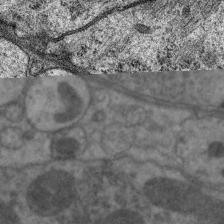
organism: C. elegans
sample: Pharynx